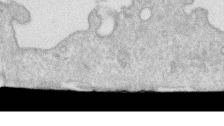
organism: Human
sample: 1205lu cells